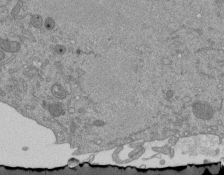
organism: Mouse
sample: ED-1 cell nuclei; centrioles